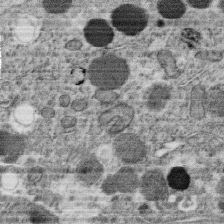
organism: C. elegans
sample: C. elegans oocyte; sperm cells